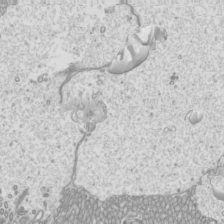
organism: Mouse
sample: Cilia; mouse epididymis